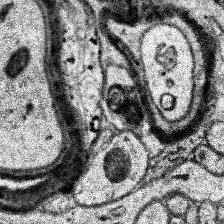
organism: Human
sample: Temporal Lobe